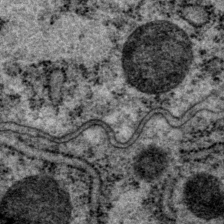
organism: P. pacificus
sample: Pharynx